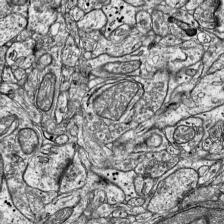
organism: Mouse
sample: Visual Cortex